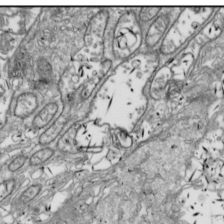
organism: Drosophila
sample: Cell division; meiosis; drosophila spermatocytes